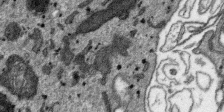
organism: Human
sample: Lung epithelial cells, uninfected (mock) control